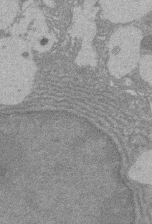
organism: Rat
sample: Salivary granule